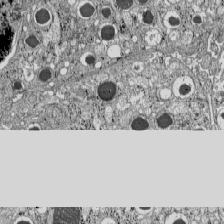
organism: C57BL Mouse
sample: Pancreatic islet